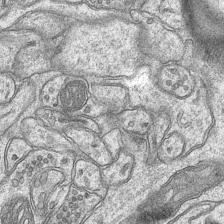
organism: Mouse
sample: CA1 Hippocampus